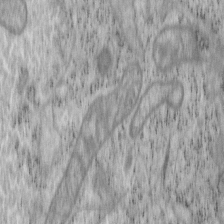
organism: Human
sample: HeLa cells